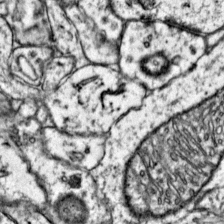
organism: Mouse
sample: Primary visual cortex